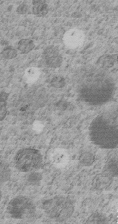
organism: C. elegans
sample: C. elegans embryo early stage